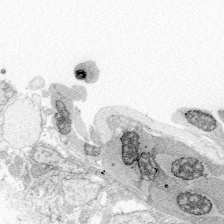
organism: Zebrafish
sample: Whole-Brain